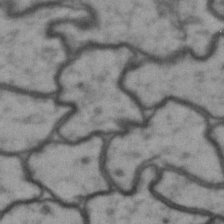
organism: Drosophila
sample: Brain